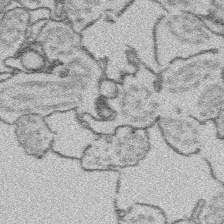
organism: Platynereis dumerilii